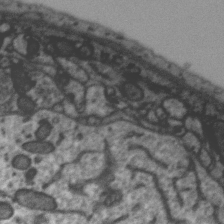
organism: Zebra finch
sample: Brain